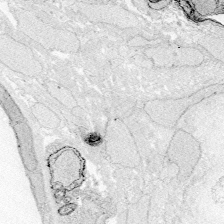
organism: Zebrafish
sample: Whole-Brain